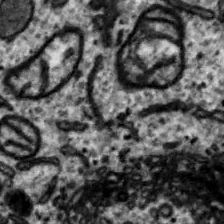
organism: Human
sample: HeLa cells